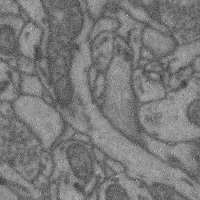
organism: Mouse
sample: Cerebral cortex